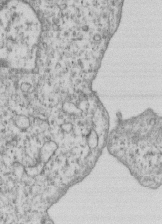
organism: Human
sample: MDA-MB-231 cells